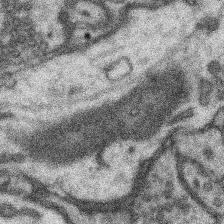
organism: Mouse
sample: Somatosensory cortex neuropil